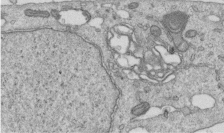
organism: Human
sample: Centriole in RPE cells